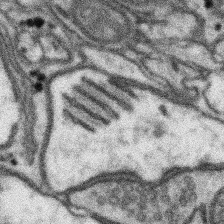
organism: Mouse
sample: Somatosensory cortex neuropil